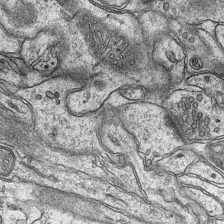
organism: Mouse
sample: CA1 Hippocampus